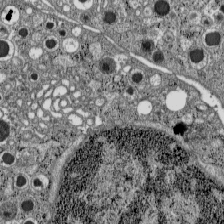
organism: C57BL Mouse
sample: Pancreatic islet